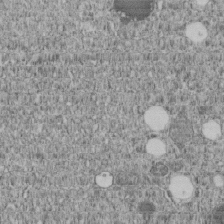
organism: C. elegans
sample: C. elegans embryo early stage